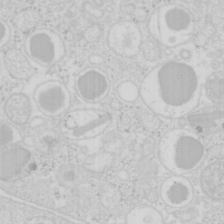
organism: Mouse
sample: Pancreas